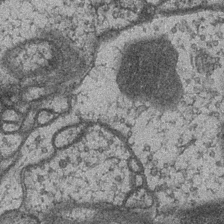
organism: Drosophila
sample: Optic medulla